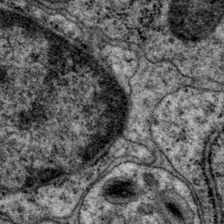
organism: P. pacificus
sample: Pharynx